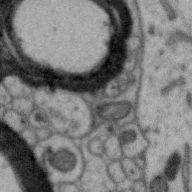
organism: Zebra finch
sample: Brain